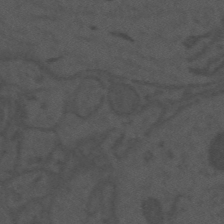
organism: Mouse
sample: Suprachiasmatic nucleus